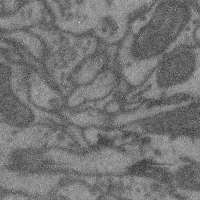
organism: Mouse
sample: Cerebral cortex